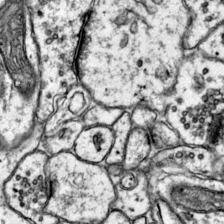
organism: Mouse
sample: Primary visual cortex